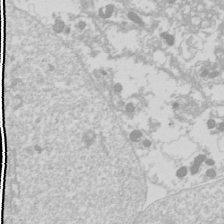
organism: Drosophila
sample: Cell division; meiosis; drosophila spermatocytes